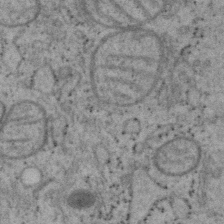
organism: Human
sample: HeLa cells